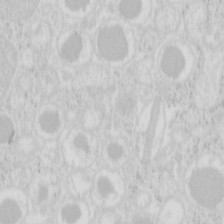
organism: Mouse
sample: Pancreas